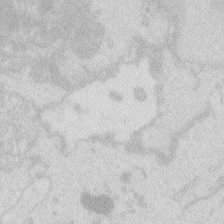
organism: Zebrafish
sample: Macrophage